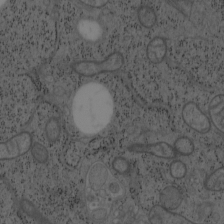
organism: Mouse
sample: OT-I killer T cells with ID8 ovarian cancer cells